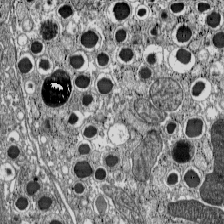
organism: C57BL Mouse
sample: Pancreatic islet